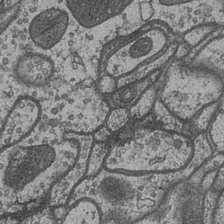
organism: Drosophila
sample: Optic medulla